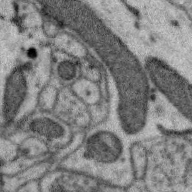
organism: Zebra finch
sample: Brain